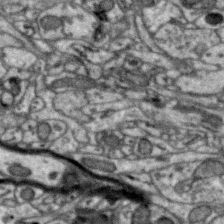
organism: Zebra finch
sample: Brain